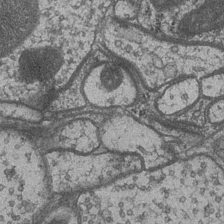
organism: Drosophila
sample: Optic medulla